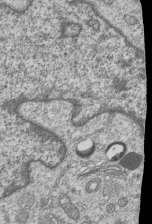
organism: Human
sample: MDA-MB-231 cells